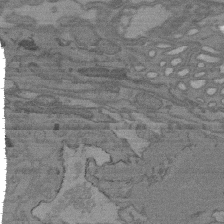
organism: C. elegans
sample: AFD neurons C. elegans